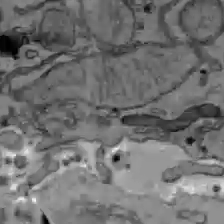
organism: C57BL Mouse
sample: Liver